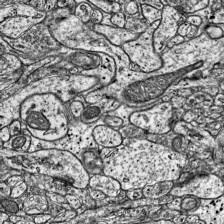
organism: Mouse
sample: Visual Cortex